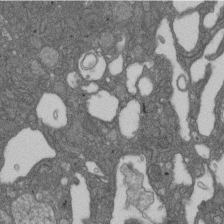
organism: Drosophila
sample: Nephrocyte